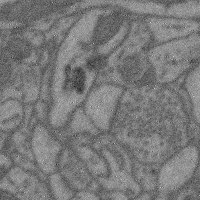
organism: Mouse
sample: Cerebral cortex